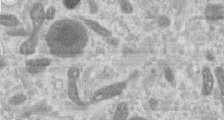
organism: Human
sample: Centriole in RPE cells